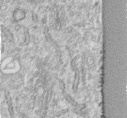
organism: Human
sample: Centriole in fibroblast cells